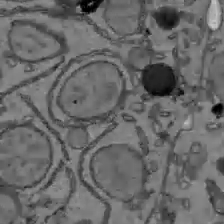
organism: C57BL Mouse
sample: Liver